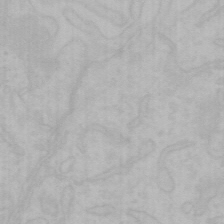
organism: Mouse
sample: Choroid plexus